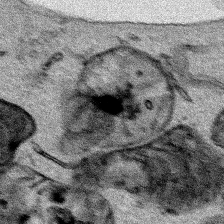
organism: Human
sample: Mitochondria in HCT116 cells